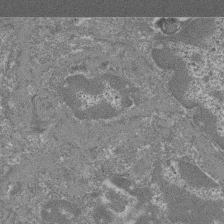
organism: Mouse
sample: Glomerulus